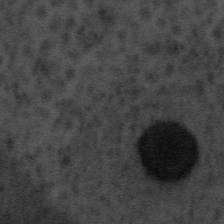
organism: Tuwongella immobilis